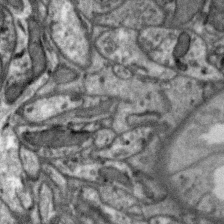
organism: Zebra finch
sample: Brain